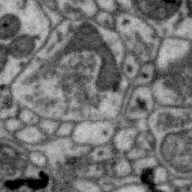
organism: Zebra finch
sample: Brain